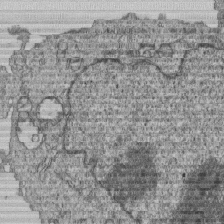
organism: Human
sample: MDA-MB-231 cells